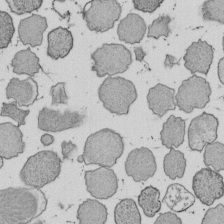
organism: E. coli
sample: Bacterial nucleoid